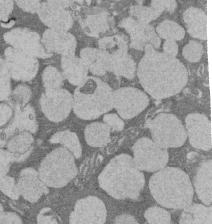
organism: Rat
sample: Salivary granule